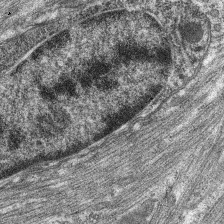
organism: C. elegans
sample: Pharynx